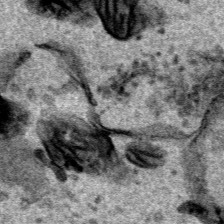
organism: Human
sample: Mitochondria in HCT116 cells